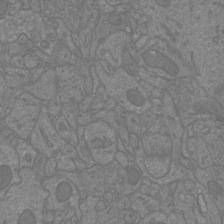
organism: Mouse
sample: Cortical neurons